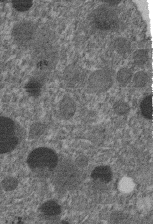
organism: C. elegans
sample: C. elegans embryo early stage